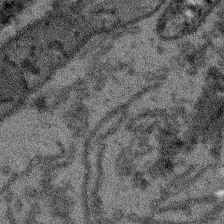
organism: Arabidopsis thaliana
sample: Root tip